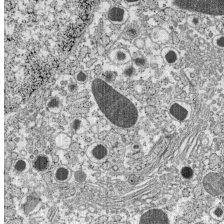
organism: C57BL Mouse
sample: Pancreatic islet